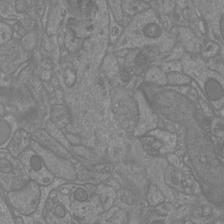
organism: Mouse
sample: Cortical neurons